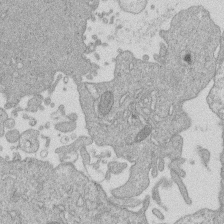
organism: Human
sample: Macrophage cells